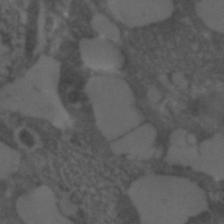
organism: C. elegans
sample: C. elegans embryo